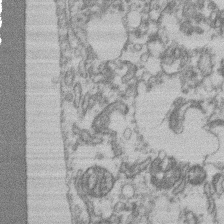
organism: Mouse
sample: T cell stromal cell synapse